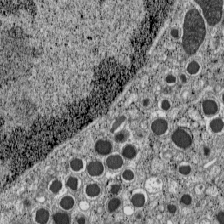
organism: C57BL Mouse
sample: Pancreatic islet